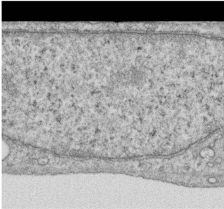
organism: Human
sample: Centriole in RPE cells